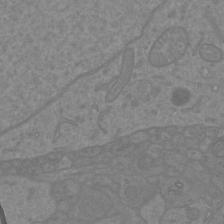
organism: Mouse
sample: Cortical neurons